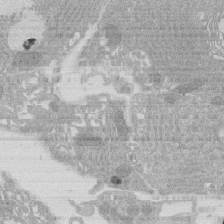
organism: Rat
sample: Salivary granule